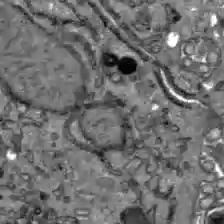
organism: C57BL Mouse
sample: Liver